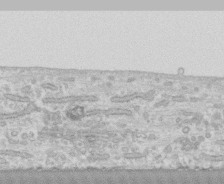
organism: Human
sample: CRL-1474